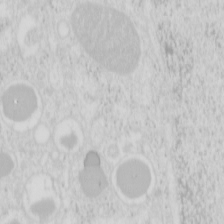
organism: Mouse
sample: Pancreas